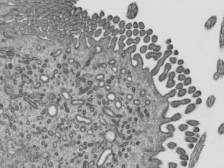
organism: Mouse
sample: Mouse epididymis efferent ductule cilia